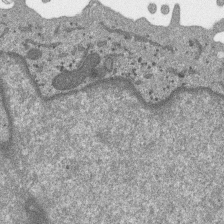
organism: Human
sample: Lung epithelial cells infected with SARS-CoV-2